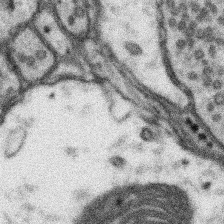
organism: Mouse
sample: Somatosensory cortex neuropil